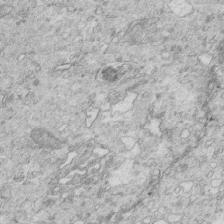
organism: Mouse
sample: Multiciliated cells